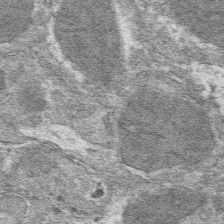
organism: Mouse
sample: Mouse hepatocytes